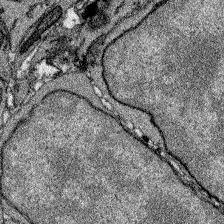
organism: Zebrafish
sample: Larval olfactory bulb